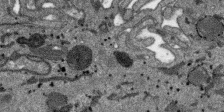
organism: Human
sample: Lung epithelial cells, uninfected (mock) control